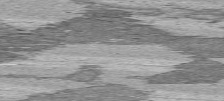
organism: C57BL Mouse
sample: Heart